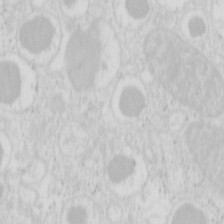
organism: Mouse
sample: Pancreas